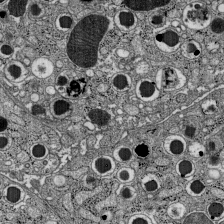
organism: C57BL Mouse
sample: Pancreatic islet